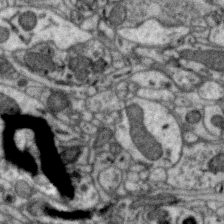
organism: Zebra finch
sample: Brain